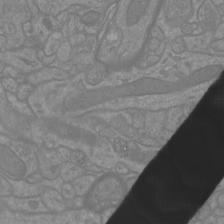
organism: Mouse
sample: Cortical neurons